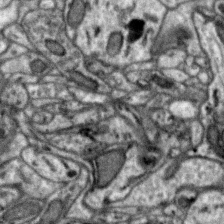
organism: Zebra finch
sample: Brain